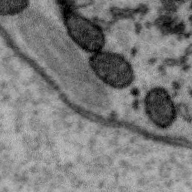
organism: Zebra finch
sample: Brain